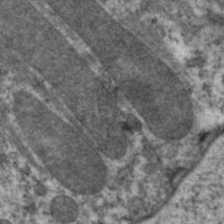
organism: C. elegans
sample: Pharynx